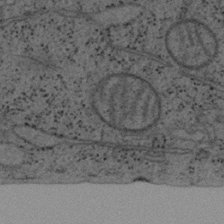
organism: Human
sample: HeLa cells